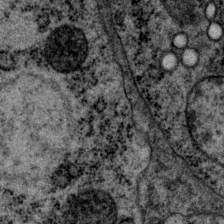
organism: P. pacificus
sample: Pharynx